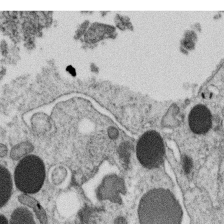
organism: C. elegans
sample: C. elegans oocyte; sperm cells